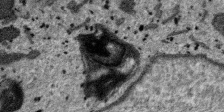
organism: Human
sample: Lung epithelial cells, uninfected (mock) control